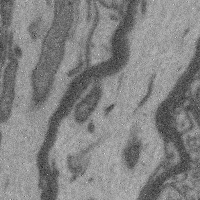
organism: Mouse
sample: Cerebral cortex